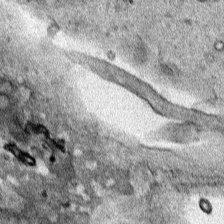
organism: Human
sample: Mitochondria in HCT116 cells